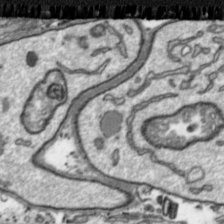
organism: Toxoplasma gondii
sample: Parasites in a vacuole inside a host cell